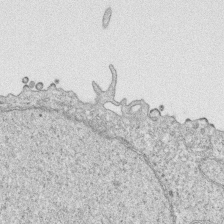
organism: Human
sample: HeLa cell HIV synapse